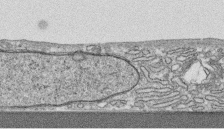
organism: Human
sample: CRL-1474